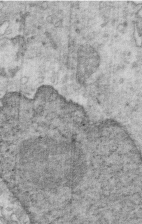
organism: Mouse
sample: Multiciliated cells